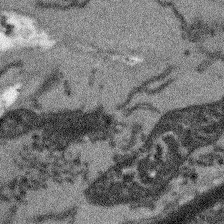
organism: Arabidopsis thaliana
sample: Root tip